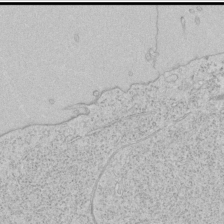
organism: Human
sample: Mitochondria in HCT116 cells